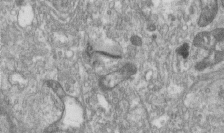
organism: Human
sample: Centriole in RPE cells